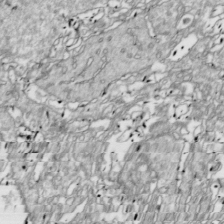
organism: Drosophila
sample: Cell division; meiosis; drosophila spermatocytes